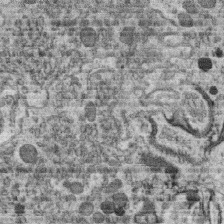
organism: C. elegans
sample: C. elegans oocyte; sperm cells